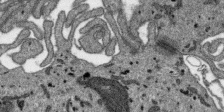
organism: Human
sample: Lung epithelial cells, uninfected (mock) control